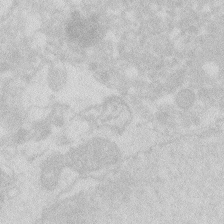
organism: Zebrafish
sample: Macrophage